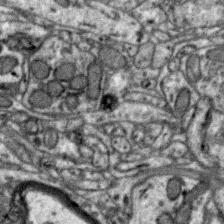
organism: Zebra finch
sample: Brain